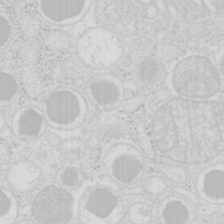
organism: Mouse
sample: Pancreas